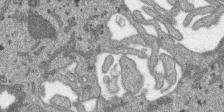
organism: Human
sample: Lung epithelial cells infected with SARS-CoV-2